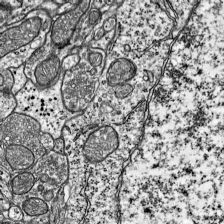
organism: Mouse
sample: Visual Cortex